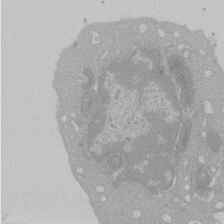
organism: Mouse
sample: Activated Pmel transgenic CD8+ T Cells